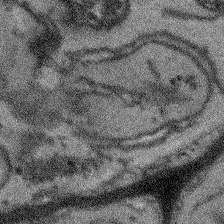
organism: Arabidopsis thaliana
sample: Root tip